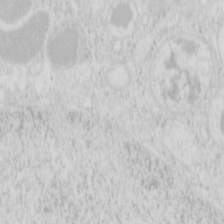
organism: Mouse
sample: Pancreas